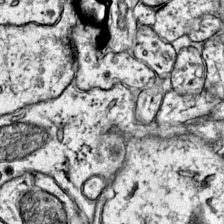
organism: Mouse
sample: Primary visual cortex